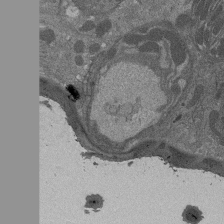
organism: Drosophila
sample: Antenna